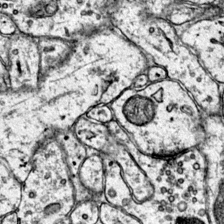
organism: Mouse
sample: Primary visual cortex